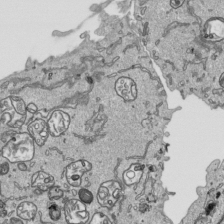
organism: Human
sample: Mitochondria in HCT116 cells